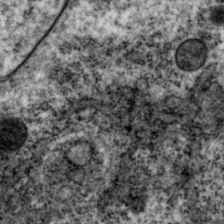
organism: P. pacificus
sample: Pharynx